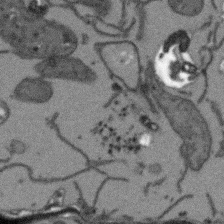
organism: Arabidopsis thaliana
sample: Root tip